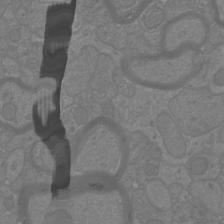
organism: Mouse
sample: Cortical neurons